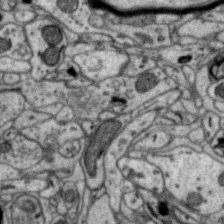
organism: Zebra finch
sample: Brain